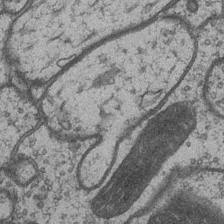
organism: Drosophila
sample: Optic medulla